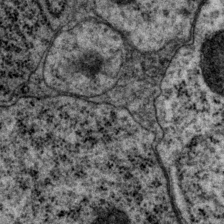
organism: P. pacificus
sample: Pharynx